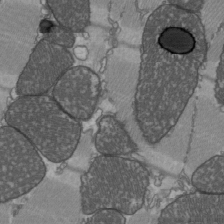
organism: C57BL Mouse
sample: Heart